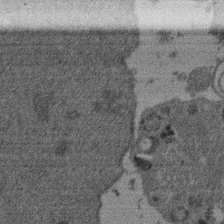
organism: Mouse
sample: Dividing mouse embryo 1 cell stage